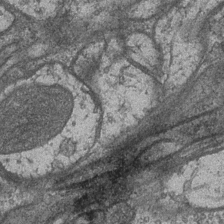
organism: Drosophila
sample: Optic medulla